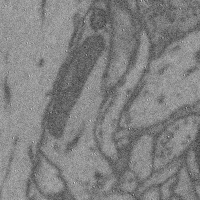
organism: Mouse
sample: Cerebral cortex